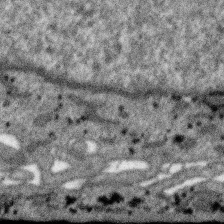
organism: Human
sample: Lung epithelial cells infected with SARS-CoV-2